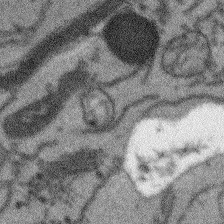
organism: Arabidopsis thaliana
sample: Root tip